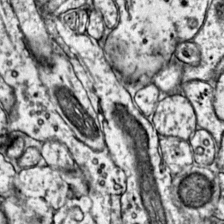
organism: Mouse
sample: Primary visual cortex